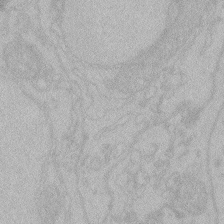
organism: Zebrafish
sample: Macrophage infected with Toxoplasma gondii